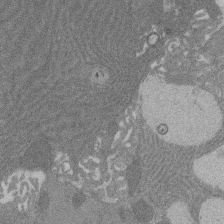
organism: Rat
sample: Salivary granule